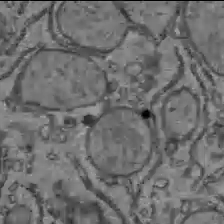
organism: C57BL Mouse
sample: Liver